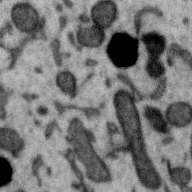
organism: Zebra finch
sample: Brain